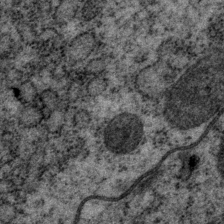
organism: P. pacificus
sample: Pharynx